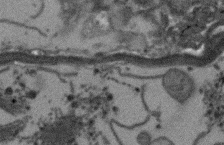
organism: Arabidopsis thaliana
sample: Root tip